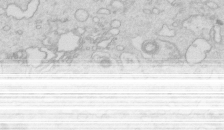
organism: Mouse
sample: Multiciliated cells